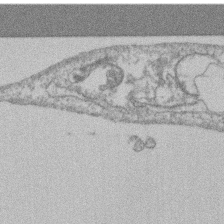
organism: Mouse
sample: T cell stromal cell synapse